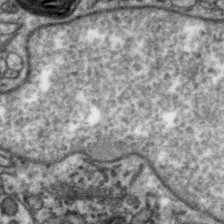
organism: Zebra finch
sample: Brain